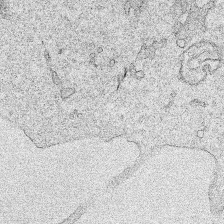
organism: Human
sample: Mitochondria in HCT116 cells